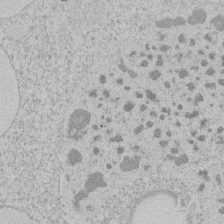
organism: Tetrahymena